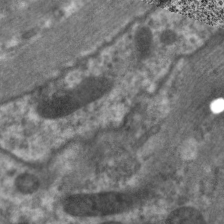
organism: C. elegans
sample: Pharynx